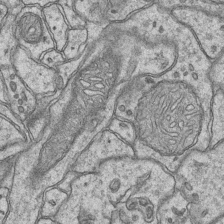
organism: Mouse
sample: CA1 Hippocampus